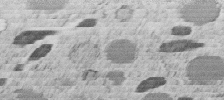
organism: C. elegans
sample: C. elegans embryo early stage